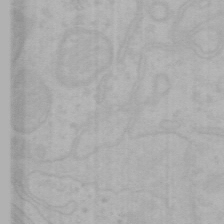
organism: Mouse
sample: Choroid plexus